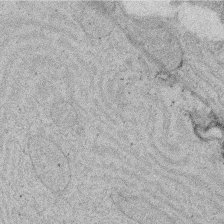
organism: Rat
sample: Salivary granule